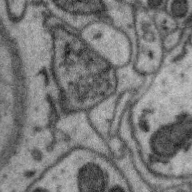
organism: Zebra finch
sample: Brain